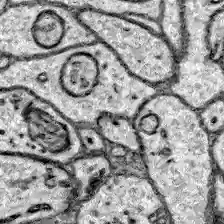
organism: Zebrafish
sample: Brain